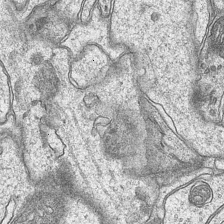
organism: Mouse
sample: CA1 Hippocampus